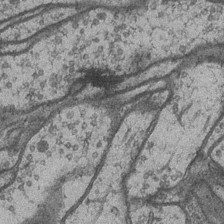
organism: Drosophila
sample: Optic medulla